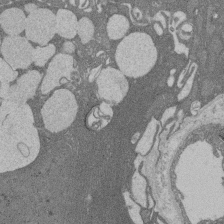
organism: Rat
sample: Salivary granule